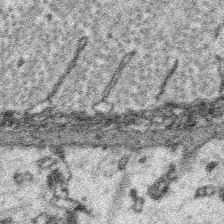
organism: Platynereis dumerilii